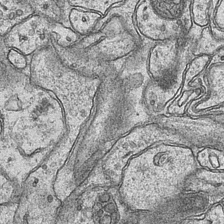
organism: Mouse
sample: CA1 Hippocampus